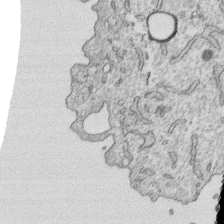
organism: Human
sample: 1205lu cells